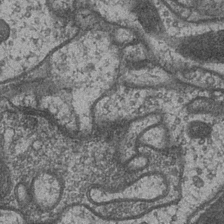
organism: Drosophila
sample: Optic medulla